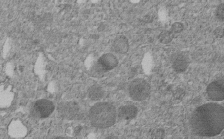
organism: C. elegans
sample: C. elegans embryo early stage